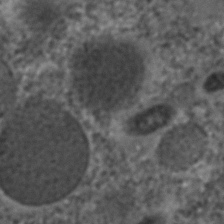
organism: C. elegans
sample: C. elegans embryo